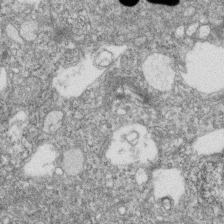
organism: Zebrafish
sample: Cilia; retinal pigment epithelium